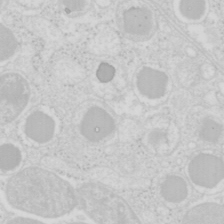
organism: Mouse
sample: Pancreas